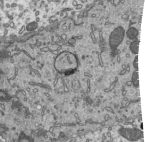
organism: Mouse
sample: Mouse epididymis efferent ductule cilia